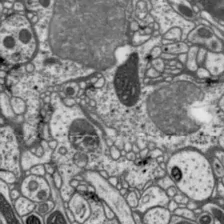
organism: Drosophila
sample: Protocerebral bridge